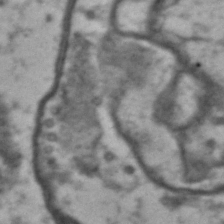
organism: Drosophila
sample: Brain